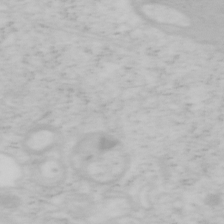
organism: Mouse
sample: OT-I killer T cells with ID8 ovarian cancer cells